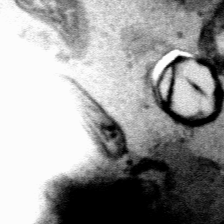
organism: Human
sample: Mitochondria in HCT116 cells